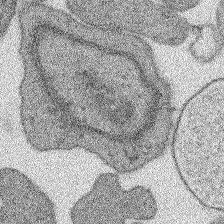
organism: Human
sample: HeLa cells